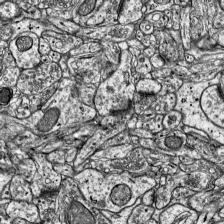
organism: Mouse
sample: Visual Cortex